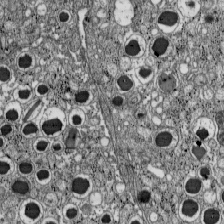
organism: C57BL Mouse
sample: Pancreatic islet